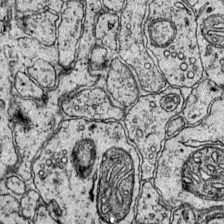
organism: Mouse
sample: Primary visual cortex